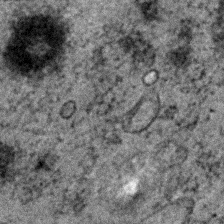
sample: Trachea